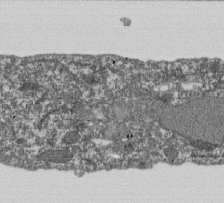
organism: Dictyostelium discoideum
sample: Dictyostelium multivesicular bodies